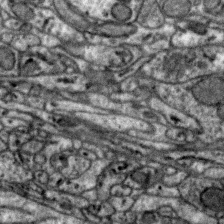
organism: Zebra finch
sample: Brain